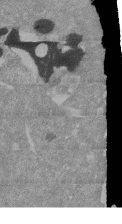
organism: Mouse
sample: ED-1 cell nuclei; centrioles